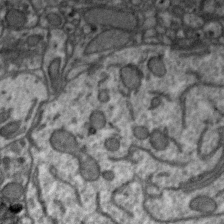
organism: Zebra finch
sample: Brain